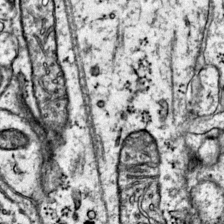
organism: Mouse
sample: Primary visual cortex